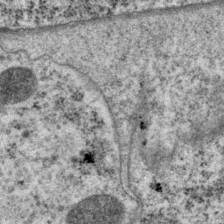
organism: P. pacificus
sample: Pharynx